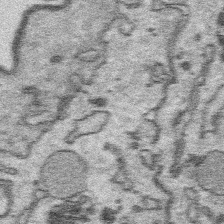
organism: Platynereis dumerilii